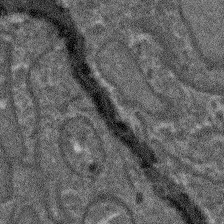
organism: Arabidopsis thaliana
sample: Root tip